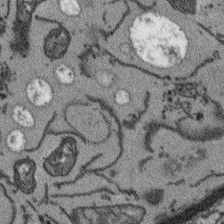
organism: Arabidopsis thaliana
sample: Root tip